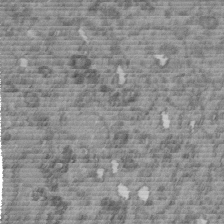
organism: C. elegans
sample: C. elegans embryo early stage